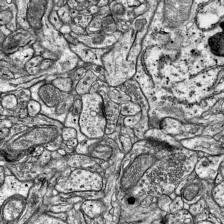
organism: Mouse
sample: Visual Cortex